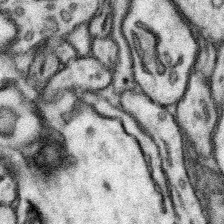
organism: Mouse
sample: Somatosensory cortex neuropil